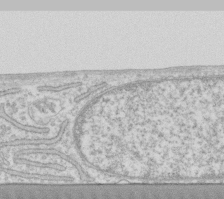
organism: Human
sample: Fibroblast cells